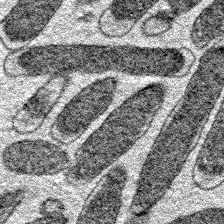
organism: E. coli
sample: E. Coli Bacteria